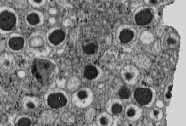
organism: C57BL Mouse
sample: Pancreatic islet